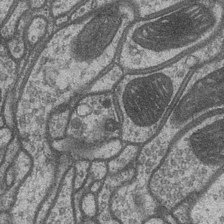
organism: Drosophila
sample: Optic medulla